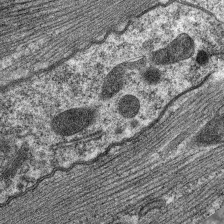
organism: C. elegans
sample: Pharynx